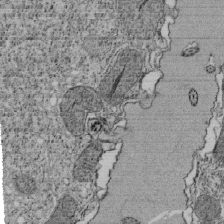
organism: Tetrahymena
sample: Cilia in tetrahymena